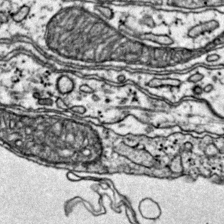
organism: Mouse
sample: Primary visual cortex